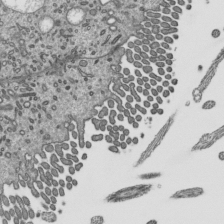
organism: Mouse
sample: Mouse epididymis efferent ductule cilia